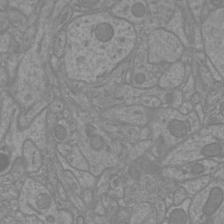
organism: Mouse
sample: Cortical neurons